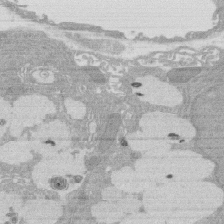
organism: Rat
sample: Salivary granule